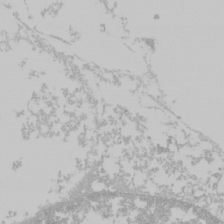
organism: Mouse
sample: Cancer cell death in ED-1 cells